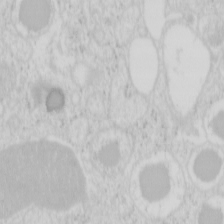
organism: Mouse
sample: Pancreas